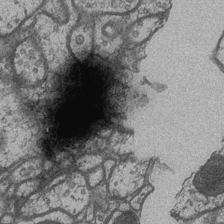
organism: Drosophila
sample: Optic medulla